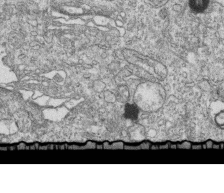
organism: Human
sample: HeLa cell HIV synapse